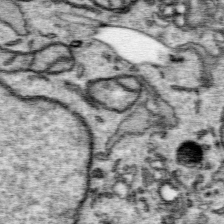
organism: Human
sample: HeLa cells